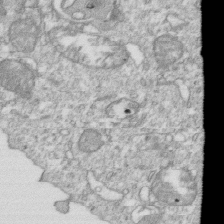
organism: Mouse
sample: Activated OT-1 CD8+ T cells